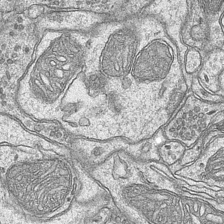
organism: Mouse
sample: CA1 Hippocampus